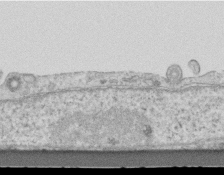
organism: Mouse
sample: Centriole in ependymal cells